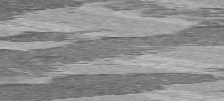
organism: C57BL Mouse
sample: Heart